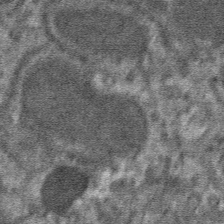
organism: Mouse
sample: Mouse hepatocytes